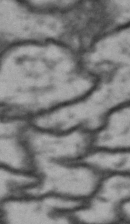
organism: Drosophila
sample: Brain